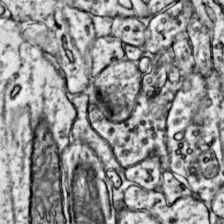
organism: Mouse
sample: Primary visual cortex